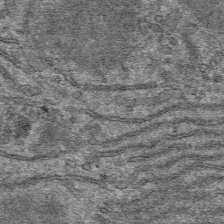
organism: Mouse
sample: Mouse hepatocytes